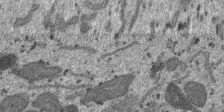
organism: Human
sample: Lung epithelial cells infected with SARS-CoV-2